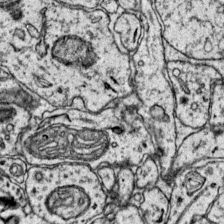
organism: Mouse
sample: Primary visual cortex